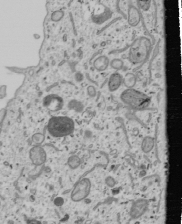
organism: Human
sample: Mitochondria in U2OS cells